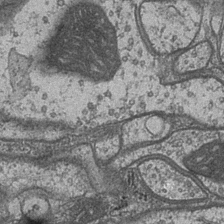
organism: Drosophila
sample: Optic medulla